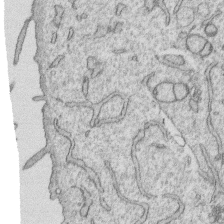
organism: Human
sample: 1205lu cells